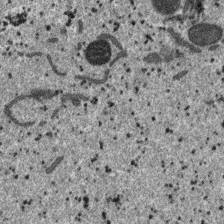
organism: Human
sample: Lung epithelial cells infected with SARS-CoV-2